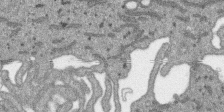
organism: Human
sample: Lung epithelial cells infected with SARS-CoV-2